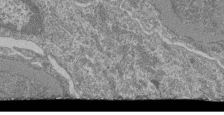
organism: Mouse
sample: Glomerulus